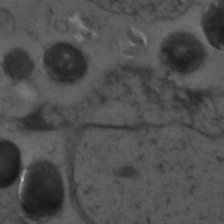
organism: Zebrafish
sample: Zebrafish embryo